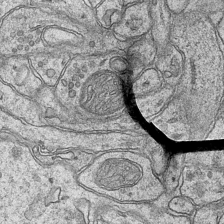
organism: Mouse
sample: CA1 Hippocampus